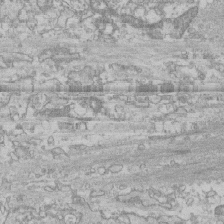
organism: Human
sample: CRL-1474